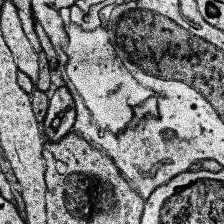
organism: Human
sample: Temporal Lobe